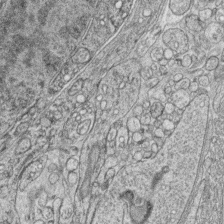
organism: Zebrafish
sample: synaptic ribbons in rod cells and cone cells